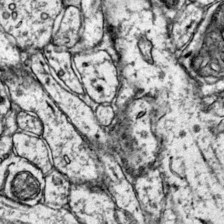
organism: Mouse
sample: Primary visual cortex